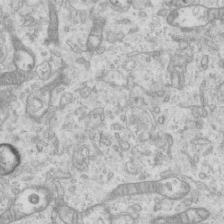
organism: Mouse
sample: Centriole in ependymal cells